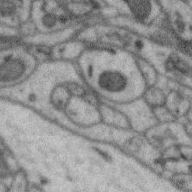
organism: Zebra finch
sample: Brain